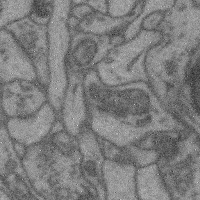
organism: Mouse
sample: Cerebral cortex